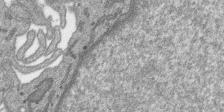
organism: Human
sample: Lung epithelial cells infected with SARS-CoV-2